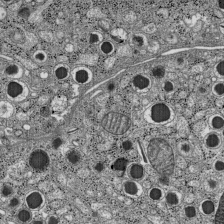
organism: C57BL Mouse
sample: Pancreatic islet